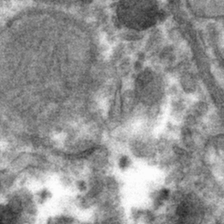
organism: Mouse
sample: Mouse hepatocytes